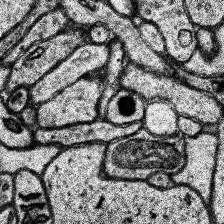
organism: Human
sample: Temporal Lobe